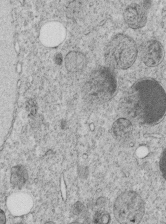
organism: C. elegans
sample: C. elegans embryo early stage